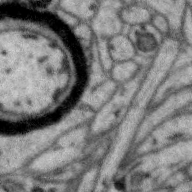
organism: Zebra finch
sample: Brain